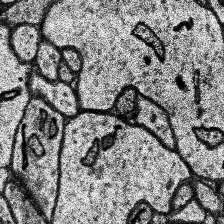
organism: Human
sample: Temporal Lobe